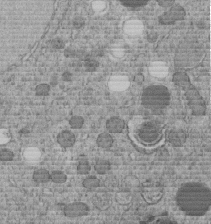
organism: C. elegans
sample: C. elegans embryo early stage